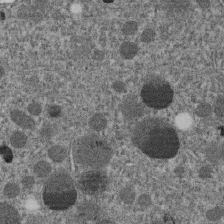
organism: C. elegans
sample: C. elegans embryo early stage